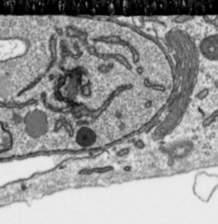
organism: Toxoplasma gondii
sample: Parasites in a vacuole inside a host cell